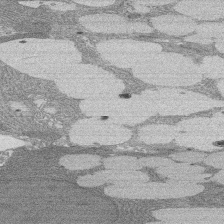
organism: Rat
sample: Salivary granule